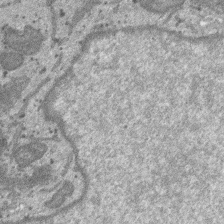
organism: Human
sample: Lung epithelial cells infected with SARS-CoV-2